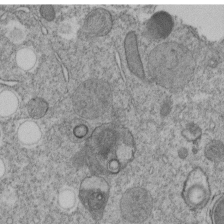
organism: C. elegans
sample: C. elegans embryo early stage